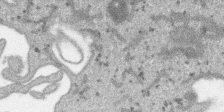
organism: Human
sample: Lung epithelial cells infected with SARS-CoV-2